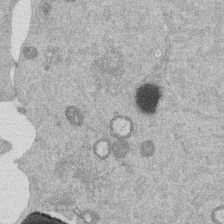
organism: Mouse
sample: Dividing mouse embryo 1 cell stage